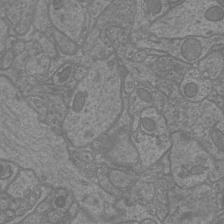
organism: Mouse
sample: Cortical neurons